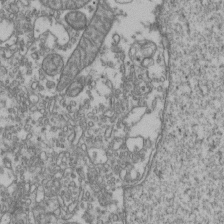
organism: Human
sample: Activated Jurkat CD4+ T cells